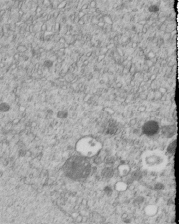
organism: C. elegans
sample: C. elegans embryo early stage